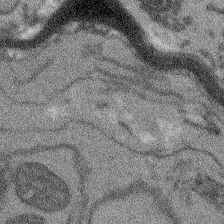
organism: Arabidopsis thaliana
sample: Root tip